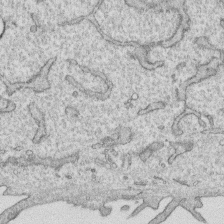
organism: Human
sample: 1205lu cells